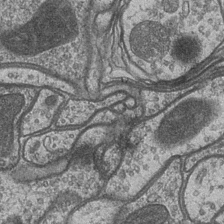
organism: Drosophila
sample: Optic medulla